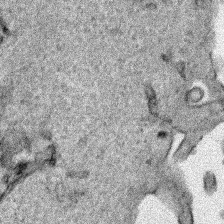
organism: Human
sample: Mitochondria in HCT116 cells